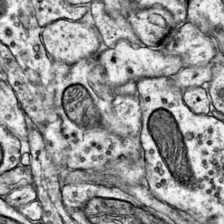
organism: Mouse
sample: Primary visual cortex